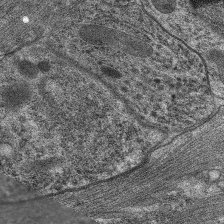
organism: C. elegans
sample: Pharynx